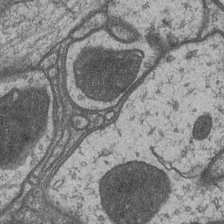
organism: Drosophila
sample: Optic medulla